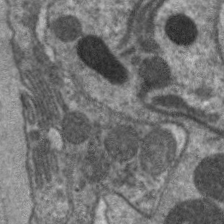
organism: C. elegans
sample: Pharynx